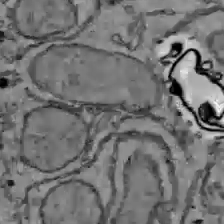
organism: C57BL Mouse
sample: Liver